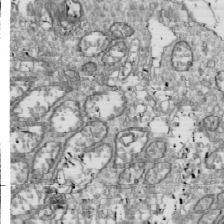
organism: Drosophila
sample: Cell division; meiosis; drosophila spermatocytes